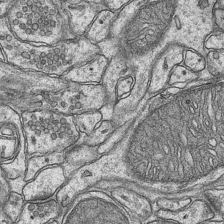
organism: Mouse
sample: CA1 Hippocampus